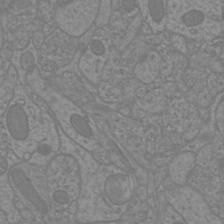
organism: Mouse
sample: Cortical neurons